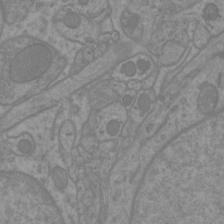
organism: Mouse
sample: Cortical neurons